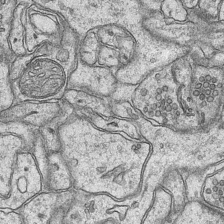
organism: Mouse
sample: CA1 Hippocampus